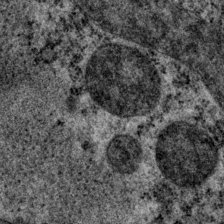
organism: P. pacificus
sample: Pharynx